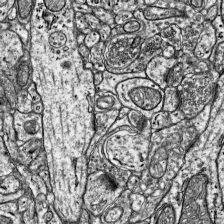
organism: Mouse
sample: Visual Cortex